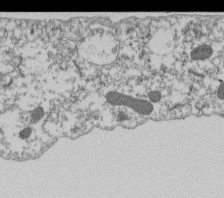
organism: Dictyostelium discoideum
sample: Dictyostelium multivesicular bodies